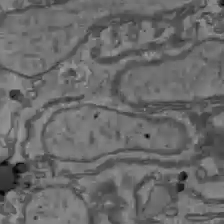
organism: C57BL Mouse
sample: Liver